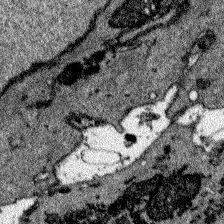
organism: Zebrafish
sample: Larval olfactory bulb